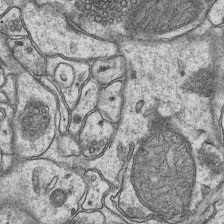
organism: Mouse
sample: CA1 Hippocampus